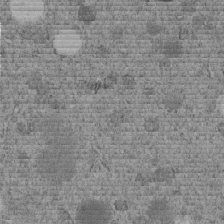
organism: C. elegans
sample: C. elegans embryo early stage